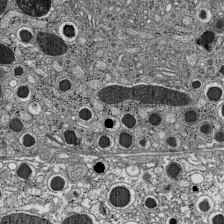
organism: C57BL Mouse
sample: Pancreatic islet